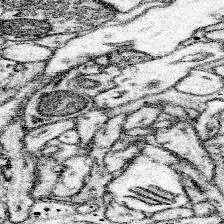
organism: Mouse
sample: Somatosensory cortex neuropil